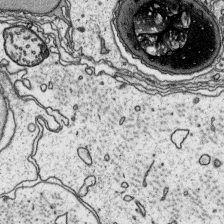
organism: Platynereis dumerilii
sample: Parapodia